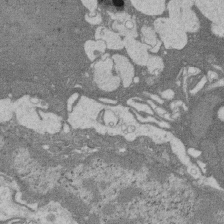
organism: Rat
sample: Salivary granule